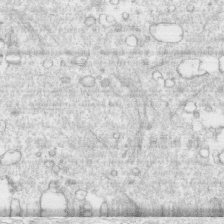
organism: Human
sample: CRL-1474